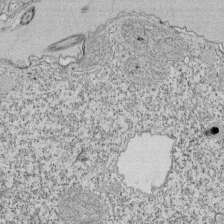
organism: Tetrahymena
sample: Cilia in tetrahymena